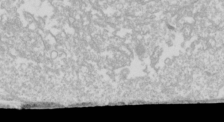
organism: Drosophila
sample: Cell division; meiosis; drosophila spermatocytes